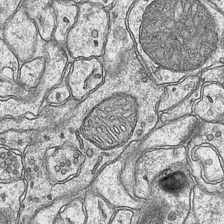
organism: Mouse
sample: CA1 Hippocampus